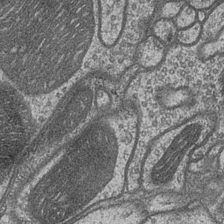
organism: Drosophila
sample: Optic medulla